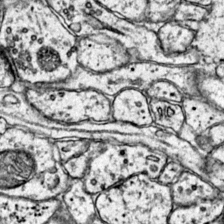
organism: Mouse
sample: Primary visual cortex